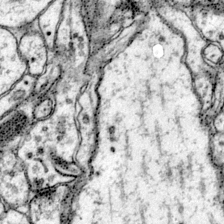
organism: Mouse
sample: Primary visual cortex